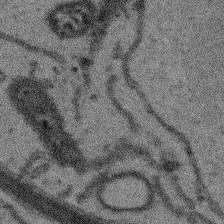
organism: Arabidopsis thaliana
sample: Root tip